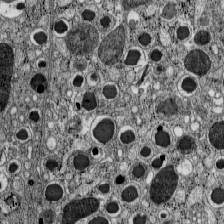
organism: C57BL Mouse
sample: Pancreatic islet